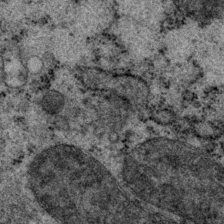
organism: P. pacificus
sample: Pharynx